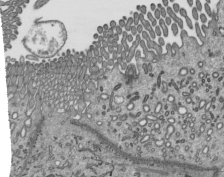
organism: Mouse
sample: Mouse epididymis efferent ductule cilia